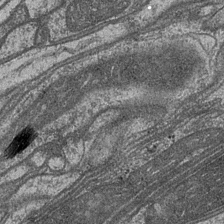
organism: Drosophila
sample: Optic medulla